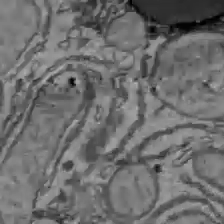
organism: C57BL Mouse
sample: Liver